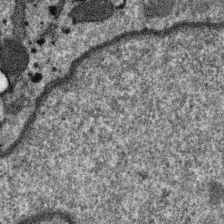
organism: Human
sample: Lung epithelial cells infected with SARS-CoV-2